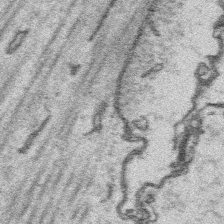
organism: Platynereis dumerilii